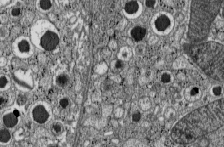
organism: C57BL Mouse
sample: Pancreatic islet